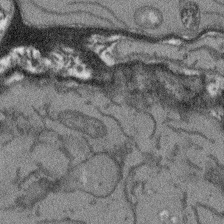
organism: Arabidopsis thaliana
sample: Root tip